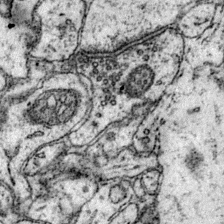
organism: Mouse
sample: Primary visual cortex